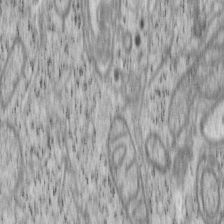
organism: Human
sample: HeLa cells